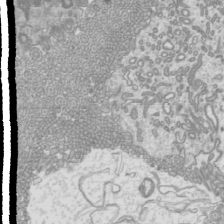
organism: Mouse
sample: Cilia; mouse epididymis